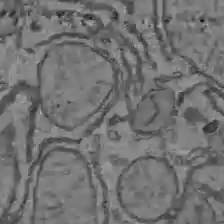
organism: C57BL Mouse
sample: Liver